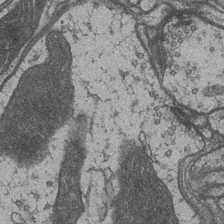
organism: Drosophila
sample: Optic medulla